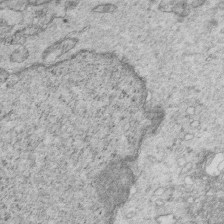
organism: Mouse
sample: Multiciliated cells